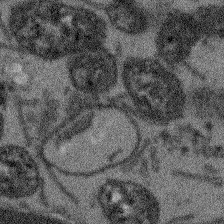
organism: Arabidopsis thaliana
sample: Root tip